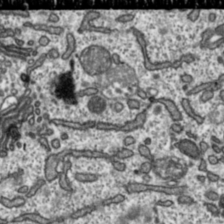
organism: Toxoplasma gondii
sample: Parasites in a vacuole inside a host cell